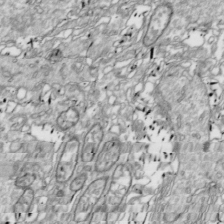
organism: Drosophila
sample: Cell division; meiosis; drosophila spermatocytes